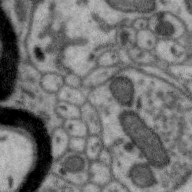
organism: Zebra finch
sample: Brain